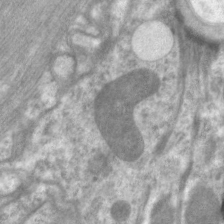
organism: C. elegans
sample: Pharynx